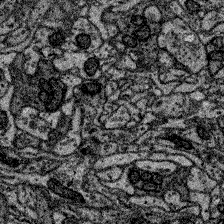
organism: Zebrafish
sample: Larval olfactory bulb